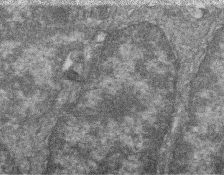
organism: Zebrafish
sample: Cilia; retinal pigment epithelium